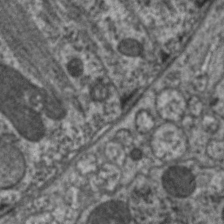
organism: C. elegans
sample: Pharynx